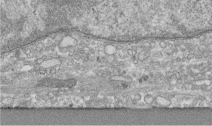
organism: Human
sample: Centriole in RPE cells